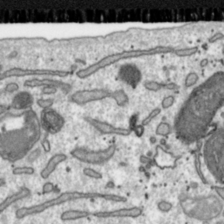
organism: Toxoplasma gondii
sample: Parasites in a vacuole inside a host cell